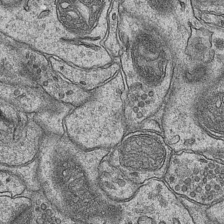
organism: Mouse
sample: CA1 Hippocampus